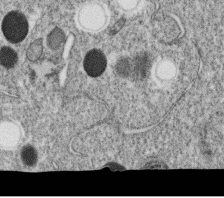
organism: C. elegans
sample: C. elegans oocyte; sperm cells